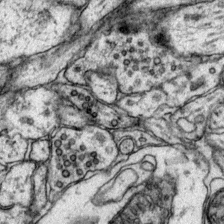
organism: Mouse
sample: Primary visual cortex